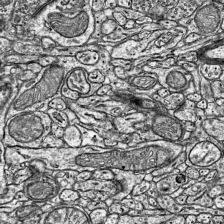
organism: Mouse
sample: Visual Cortex